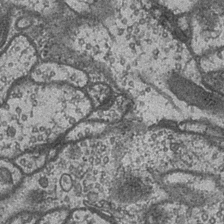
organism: Drosophila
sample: Optic medulla